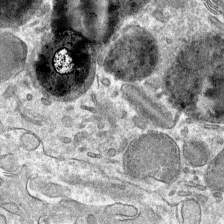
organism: Mouse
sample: Mouse hepatocytes